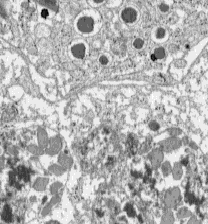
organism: C57BL Mouse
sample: Pancreatic islet